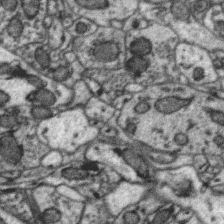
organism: Zebra finch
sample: Brain